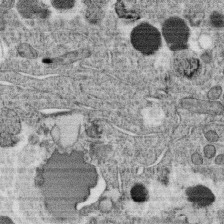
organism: C. elegans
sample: C. elegans oocyte; sperm cells